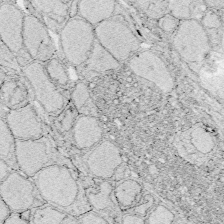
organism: Zebrafish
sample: Whole-Brain